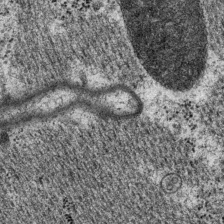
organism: P. pacificus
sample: Pharynx